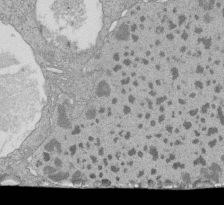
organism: Tetrahymena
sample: Cilia in tetrahymena